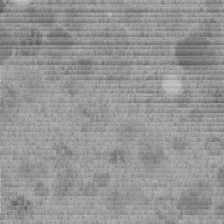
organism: C. elegans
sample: C. elegans embryo early stage